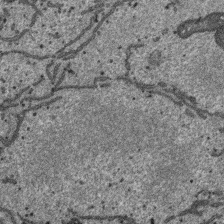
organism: Human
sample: Lung epithelial cells infected with SARS-CoV-2